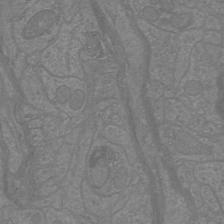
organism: Mouse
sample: Cortical neurons